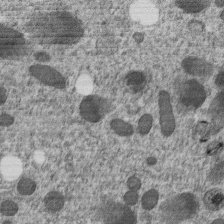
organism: C. elegans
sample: C. elegans embryo early stage